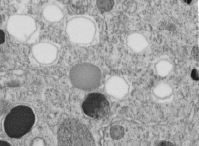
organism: C. elegans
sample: C. elegans embryo early stage